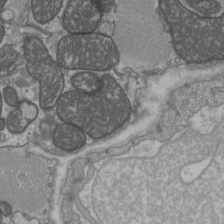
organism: C57BL Mouse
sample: Heart